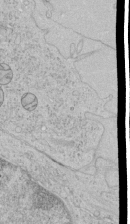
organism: Human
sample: Mitochondria in HCT116 cells